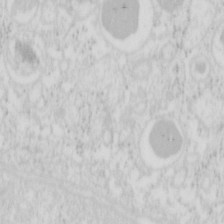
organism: Mouse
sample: Pancreas